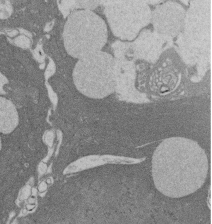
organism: Rat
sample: Salivary granule